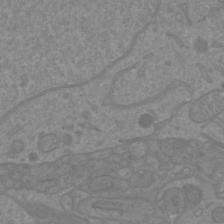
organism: Mouse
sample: Cortical neurons